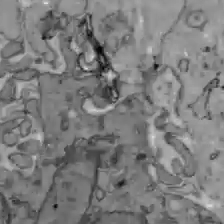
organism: C57BL Mouse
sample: Liver